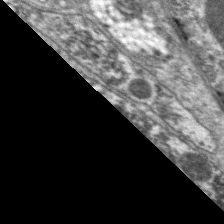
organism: C. elegans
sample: Pharynx